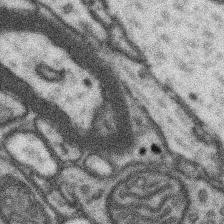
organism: Mouse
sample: Somatosensory cortex neuropil